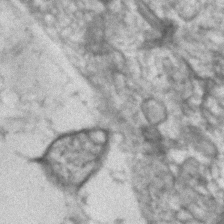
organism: Human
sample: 1205lu cells